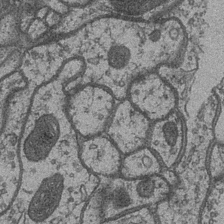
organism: Drosophila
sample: Optic medulla